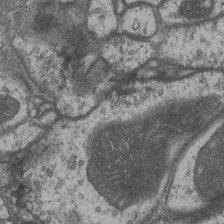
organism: Drosophila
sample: Optic medulla